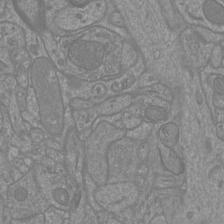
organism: Mouse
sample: Cortical neurons